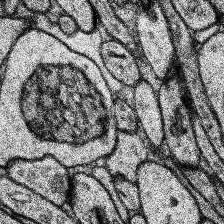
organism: Human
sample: Temporal Lobe